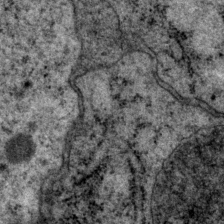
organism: P. pacificus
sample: Pharynx